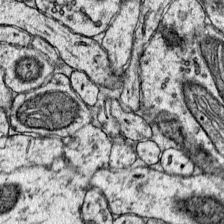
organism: Mouse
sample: Primary visual cortex